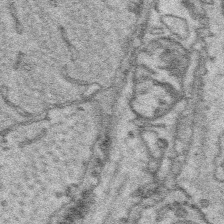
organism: Platynereis dumerilii